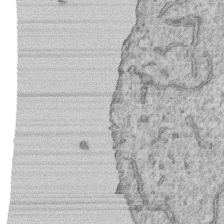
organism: Human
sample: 1205lu cells